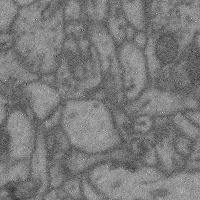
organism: Mouse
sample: Cerebral cortex